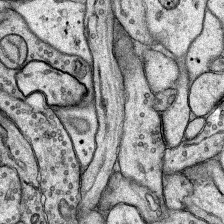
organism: Rat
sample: Hippocampus